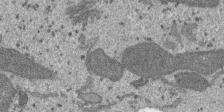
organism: Human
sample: Lung epithelial cells infected with SARS-CoV-2